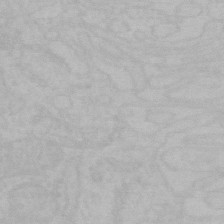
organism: Mouse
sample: Choroid plexus